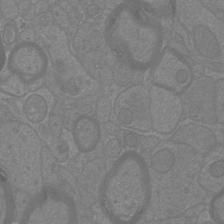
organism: Mouse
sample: Cortical neurons